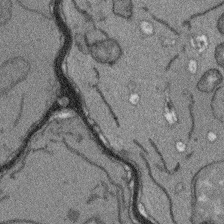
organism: Arabidopsis thaliana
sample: Root tip